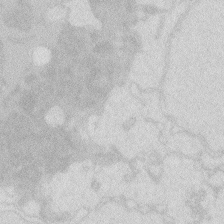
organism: Zebrafish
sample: Macrophage